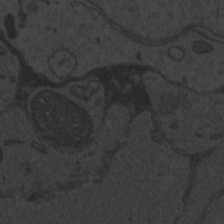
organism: Zebrafish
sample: Macrophage infected with Toxoplasma gondii